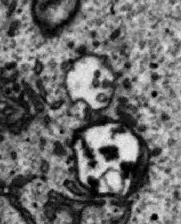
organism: Human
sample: HeLa cells